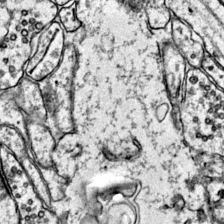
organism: Mouse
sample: Primary visual cortex